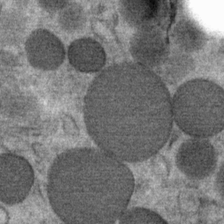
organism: Mouse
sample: Mouse Salivary gland